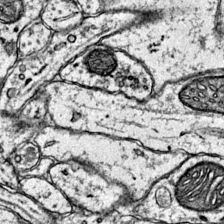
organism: Mouse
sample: Primary visual cortex